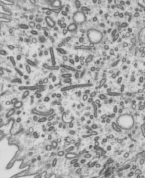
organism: Mouse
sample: Mouse epididymis efferent ductule cilia